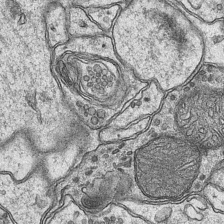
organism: Mouse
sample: CA1 Hippocampus